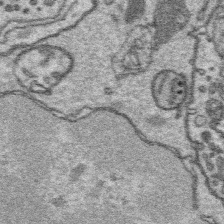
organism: Platynereis dumerilii